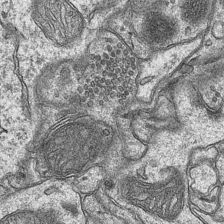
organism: Mouse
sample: CA1 Hippocampus